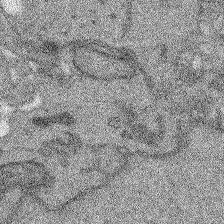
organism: Human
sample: HeLa cells